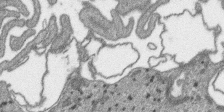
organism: Human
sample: Lung epithelial cells infected with SARS-CoV-2